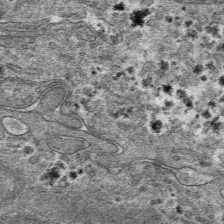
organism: Mouse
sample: Mouse hepatocytes